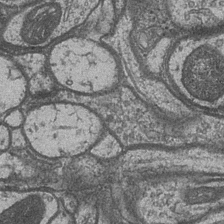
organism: Drosophila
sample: Optic medulla